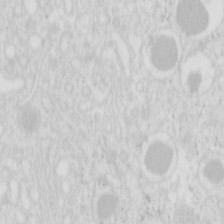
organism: Mouse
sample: Pancreas